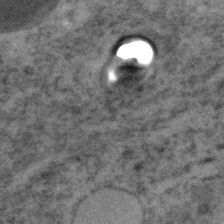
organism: C. elegans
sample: C. elegans embryo